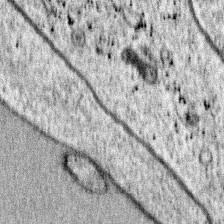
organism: Human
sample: HeLa cells